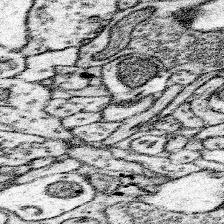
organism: Mouse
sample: Somatosensory cortex neuropil